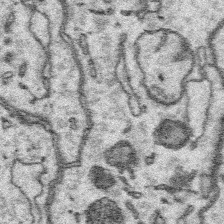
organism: Platynereis dumerilii